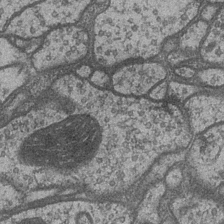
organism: Drosophila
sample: Optic medulla